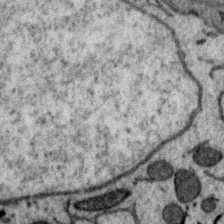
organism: Zebra finch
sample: Brain